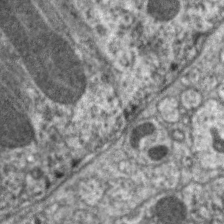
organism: C. elegans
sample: Pharynx